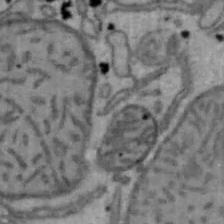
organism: Mouse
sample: Liver